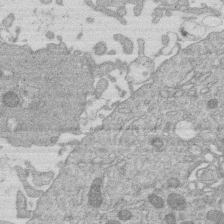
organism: Human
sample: Macrophage cells